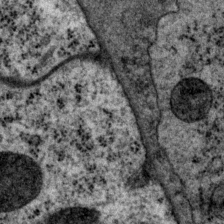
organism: P. pacificus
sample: Pharynx